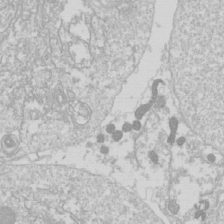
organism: Drosophila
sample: Cell division; meiosis; drosophila spermatocytes